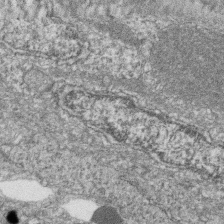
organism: Zebrafish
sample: Cilia; retinal pigment epithelium